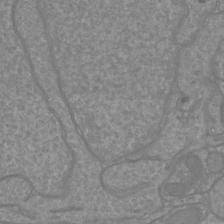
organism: Mouse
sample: Cortical neurons